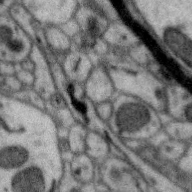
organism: Zebra finch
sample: Brain